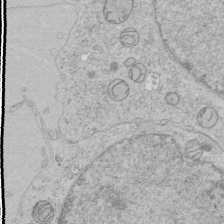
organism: Human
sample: Mitochondria in HCT116 cells